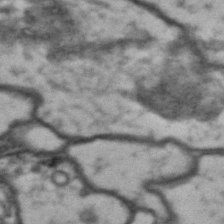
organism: Drosophila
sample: Brain